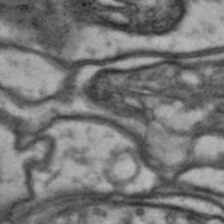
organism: Drosophila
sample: Brain